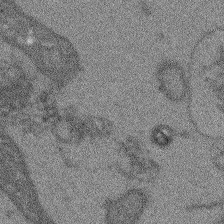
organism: Arabidopsis thaliana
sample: Root tip